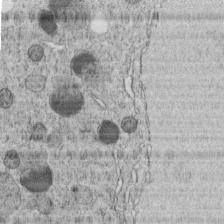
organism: C. elegans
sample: C. elegans embryo early stage